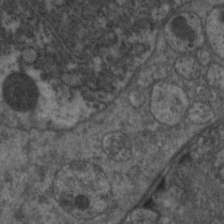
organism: C. elegans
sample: Pharynx